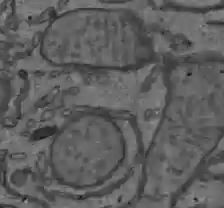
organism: C57BL Mouse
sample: Liver